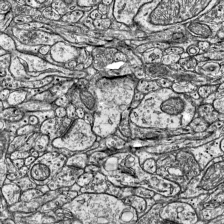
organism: Mouse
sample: Visual Cortex